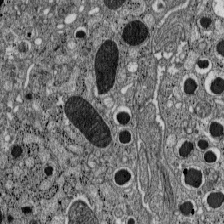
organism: C57BL Mouse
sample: Pancreatic islet